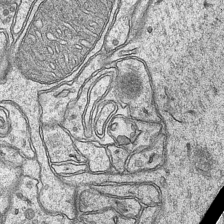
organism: Mouse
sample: CA1 Hippocampus